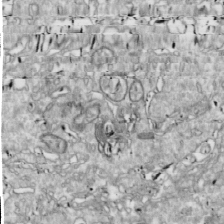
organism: Drosophila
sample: Cell division; meiosis; drosophila spermatocytes